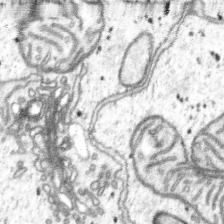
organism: Human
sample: HeLa cells